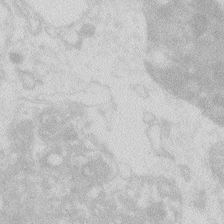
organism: Zebrafish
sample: Macrophage